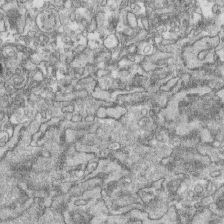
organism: Human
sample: CRL-1474